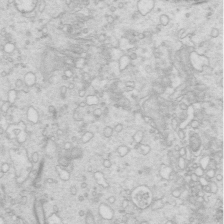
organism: Mouse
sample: Multiciliated cells